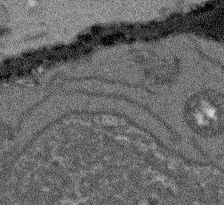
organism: Arabidopsis thaliana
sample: Root tip